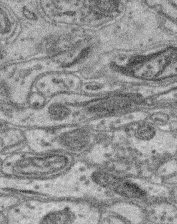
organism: Mouse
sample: Retina